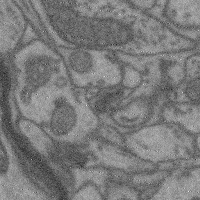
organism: Mouse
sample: Cerebral cortex